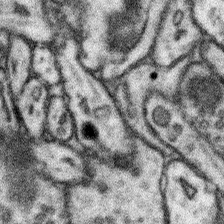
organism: Mouse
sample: Somatosensory cortex neuropil